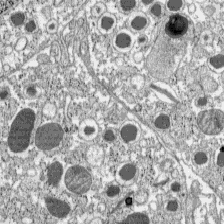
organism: C57BL Mouse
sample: Pancreatic islet